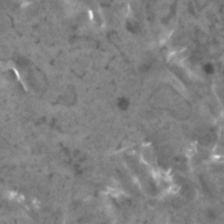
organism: Human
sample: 1205lu cells